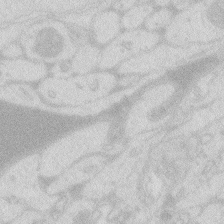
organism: Zebrafish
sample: Macrophage